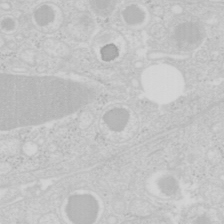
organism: Mouse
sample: Pancreas